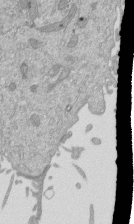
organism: Mouse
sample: ED-1 cell nuclei; centrioles